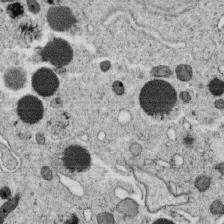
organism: C. elegans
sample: C. elegans oocyte; sperm cells